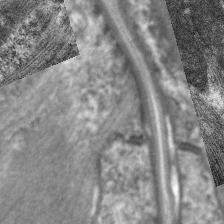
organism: C. elegans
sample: Pharynx